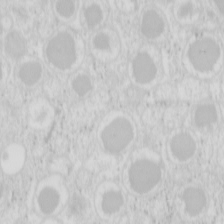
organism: Mouse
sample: Pancreas